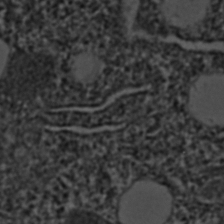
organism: C. elegans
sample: C. elegans embryo